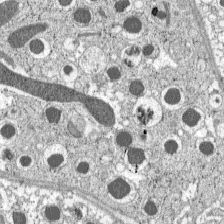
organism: C57BL Mouse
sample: Pancreatic islet